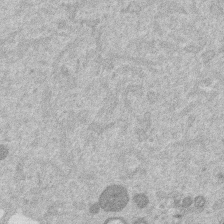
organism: Mouse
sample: Dividing mouse embryo 1 cell stage